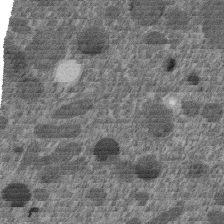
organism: C. elegans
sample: C. elegans embryo early stage